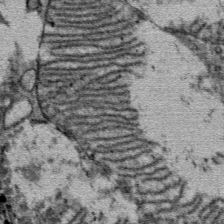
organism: Mouse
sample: Mouse Salivary gland